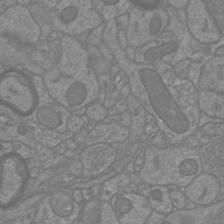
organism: Mouse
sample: Cortical neurons